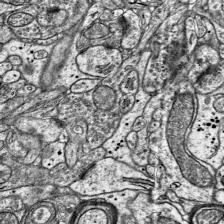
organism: Mouse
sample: Visual Cortex